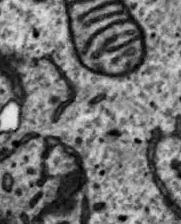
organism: Human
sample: HeLa cells